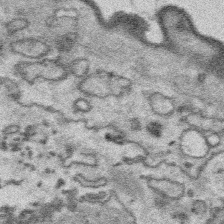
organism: Platynereis dumerilii